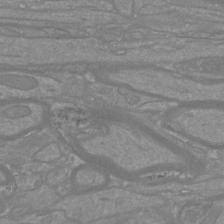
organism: Mouse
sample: Cortical neurons